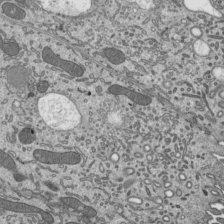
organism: Mouse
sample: Mouse epididymis efferent ductule cilia